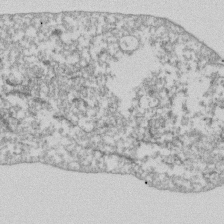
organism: Dictyostelium discoideum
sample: Dictyostelium multivesicular bodies